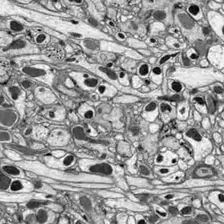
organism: Drosophila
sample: Optic lobe